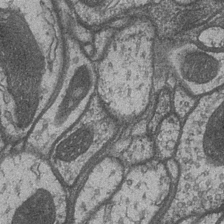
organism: Drosophila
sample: Optic medulla